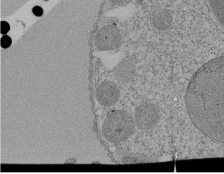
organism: Tetrahymena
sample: Cilia in tetrahymena